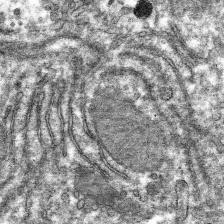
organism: Mouse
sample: Mouse hepatocytes